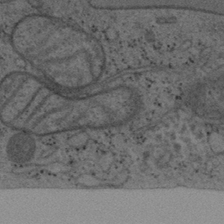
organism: Human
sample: HeLa cells